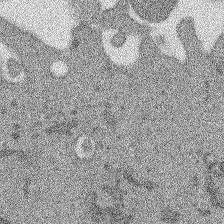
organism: Human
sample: HeLa cells